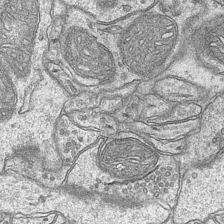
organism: Mouse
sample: CA1 Hippocampus